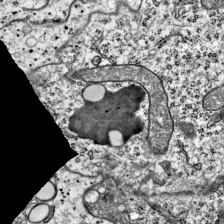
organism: Mouse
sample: Visual Cortex